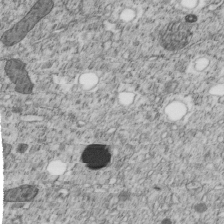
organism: C. elegans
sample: C. elegans embryo early stage